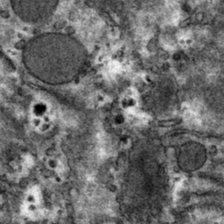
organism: Mouse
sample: Mouse hepatocytes